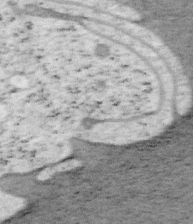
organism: Mouse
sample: OT-I killer T cells with ID8 ovarian cancer cells